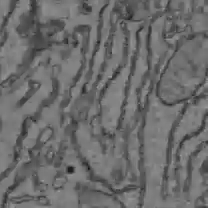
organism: C57BL Mouse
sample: Liver